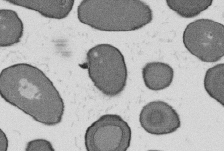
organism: B. subtilis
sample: Bacterial spore